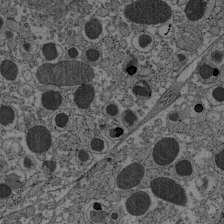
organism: C57BL Mouse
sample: Pancreatic islet